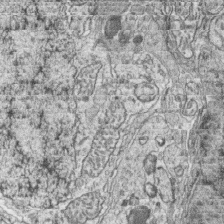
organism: Zebrafish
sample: synaptic ribbons in rod cells and cone cells